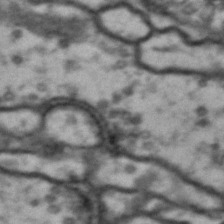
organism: Drosophila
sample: Brain